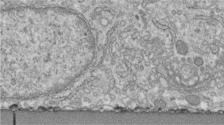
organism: Human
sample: Centriole in fibroblast cells